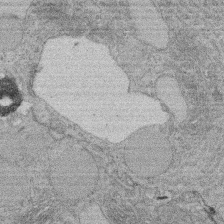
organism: Rat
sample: Salivary granule